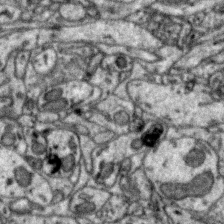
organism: Zebra finch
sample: Brain